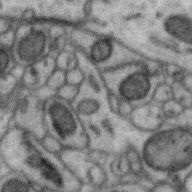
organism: Zebra finch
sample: Brain